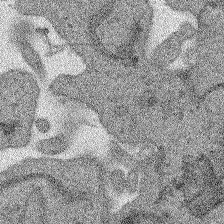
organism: Human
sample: HeLa cells